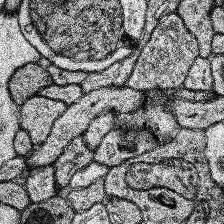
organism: Human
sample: Temporal Lobe